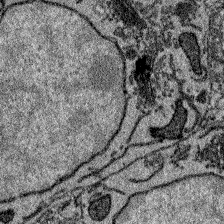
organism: Zebrafish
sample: Larval olfactory bulb